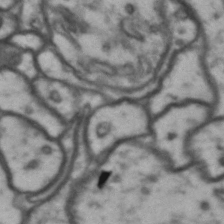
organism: Drosophila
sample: Brain